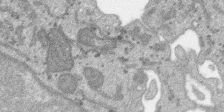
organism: Human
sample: Lung epithelial cells infected with SARS-CoV-2